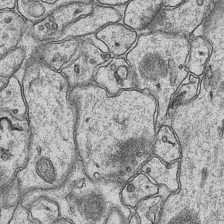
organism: Mouse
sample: CA1 Hippocampus